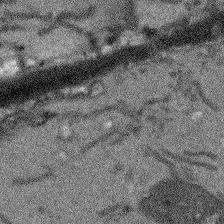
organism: Arabidopsis thaliana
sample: Root tip